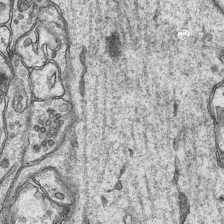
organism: Mouse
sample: CA1 Hippocampus